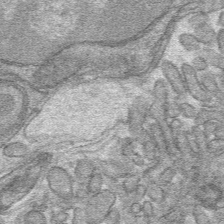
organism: Mouse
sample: Mouse hepatocytes